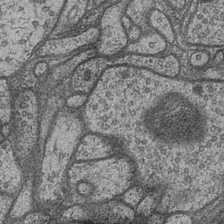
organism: Drosophila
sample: Optic medulla